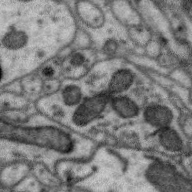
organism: Zebra finch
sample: Brain